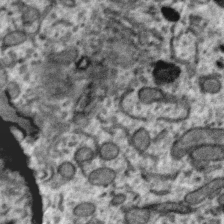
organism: Zebra finch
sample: Brain